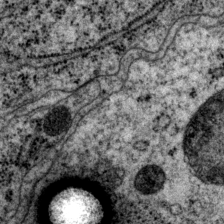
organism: P. pacificus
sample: Pharynx